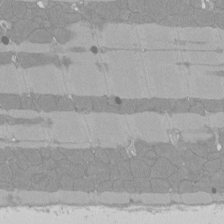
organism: Rat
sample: Left ventricle